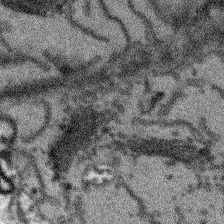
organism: Arabidopsis thaliana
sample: Root tip